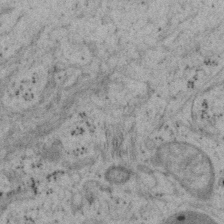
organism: Human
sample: HeLa cells